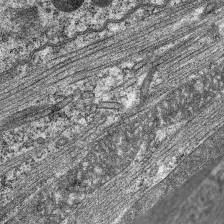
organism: C. elegans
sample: Pharynx